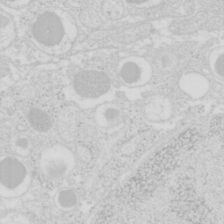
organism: Mouse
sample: Pancreas